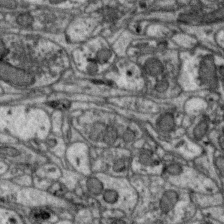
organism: Zebra finch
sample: Brain